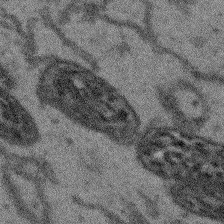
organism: Arabidopsis thaliana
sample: Root tip